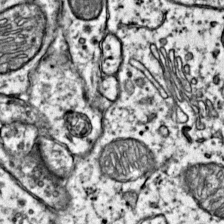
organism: Mouse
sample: Primary visual cortex